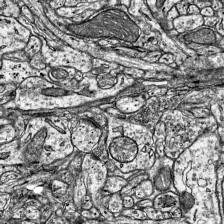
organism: Mouse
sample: Visual Cortex